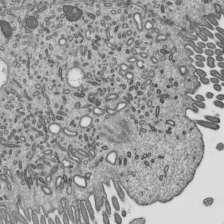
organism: Mouse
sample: Mouse epididymis efferent ductule cilia